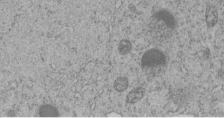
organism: C. elegans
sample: C. elegans embryo early stage